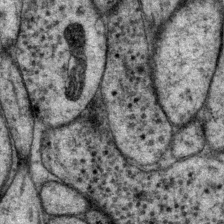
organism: P. pacificus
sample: Pharynx